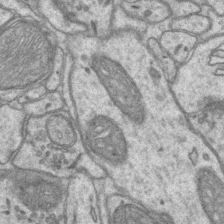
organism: Mouse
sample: CA1 Hippocampus